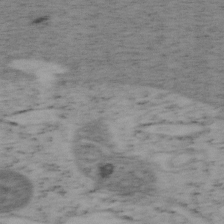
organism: Mouse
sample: OT-I killer T cells with ID8 ovarian cancer cells